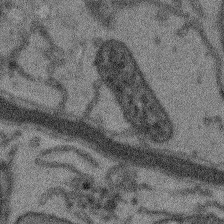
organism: Arabidopsis thaliana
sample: Root tip